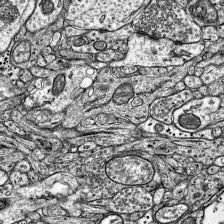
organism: Mouse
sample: Visual Cortex